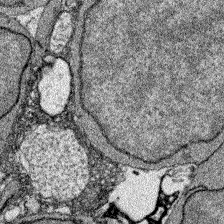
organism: Zebrafish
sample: Larval olfactory bulb